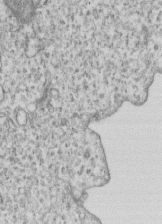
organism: Human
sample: MDA-MB-231 cells